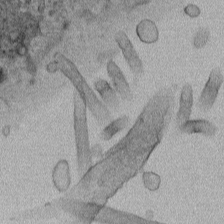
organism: Human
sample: Mitochondria in HCT116 cells